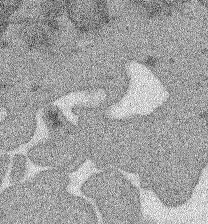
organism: Human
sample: HeLa cells